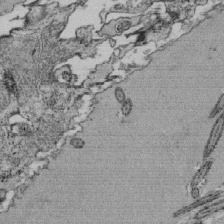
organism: Tetrahymena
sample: Cilia in tetrahymena